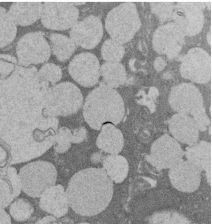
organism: Rat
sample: Salivary granule